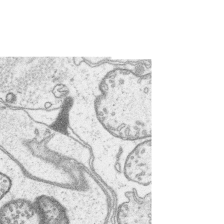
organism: Platynereis dumerilii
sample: Parapodia